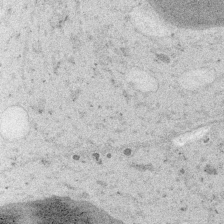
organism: Embia sp.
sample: Silk gland